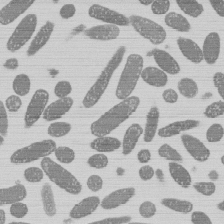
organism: E. coli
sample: Bacterial nucleoid